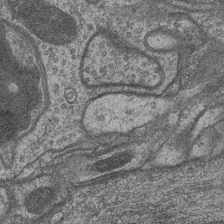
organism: Drosophila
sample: Optic medulla